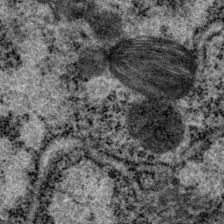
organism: P. pacificus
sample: Pharynx